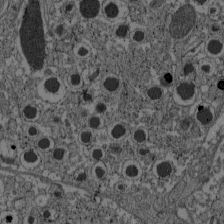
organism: C57BL Mouse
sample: Pancreatic islet